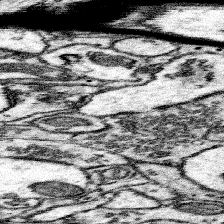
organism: Mouse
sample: Somatosensory cortex neuropil